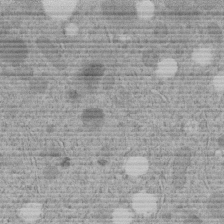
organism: C. elegans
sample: C. elegans embryo early stage